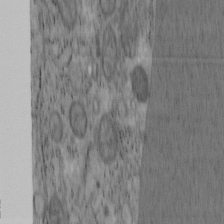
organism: Human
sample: HeLa cells